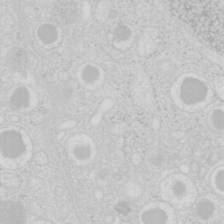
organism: Mouse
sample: Pancreas